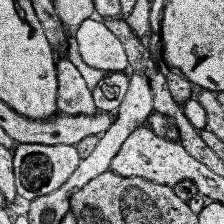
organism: Human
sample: Temporal Lobe